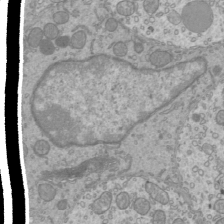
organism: Mouse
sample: Cilia; mouse epididymis